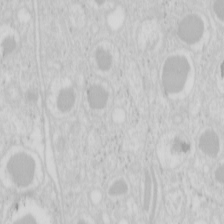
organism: Mouse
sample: Pancreas